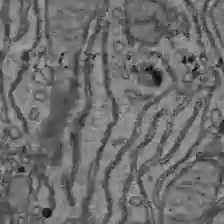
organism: C57BL Mouse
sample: Liver